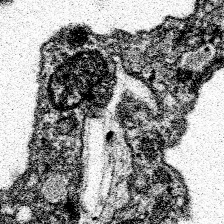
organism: Spongilla lacustris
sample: Neuroid cell